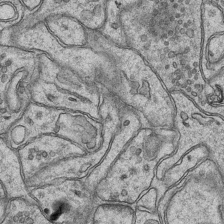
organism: Mouse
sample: CA1 Hippocampus